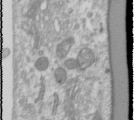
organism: Human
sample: Cilia; basal body in RPE cells